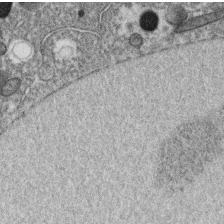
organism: C. elegans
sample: C. elegans oocyte; sperm cells